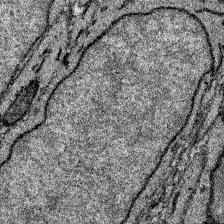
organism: Zebrafish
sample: Larval olfactory bulb